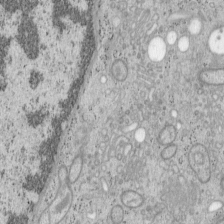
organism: Mouse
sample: OT-I killer T cells with ID8 ovarian cancer cells